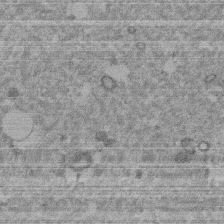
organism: Mouse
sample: Dividing mouse embryo 1 cell stage